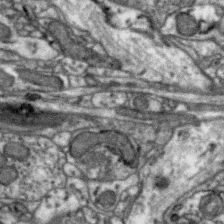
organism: Zebra finch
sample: Brain